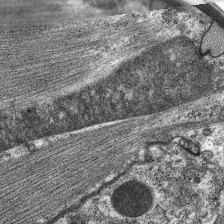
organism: C. elegans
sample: Pharynx